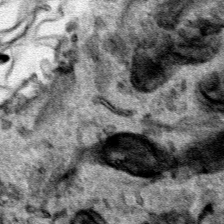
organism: Human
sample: Mitochondria in HCT116 cells